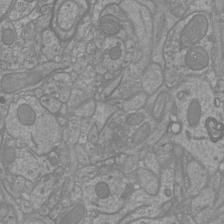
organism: Mouse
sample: Cortical neurons